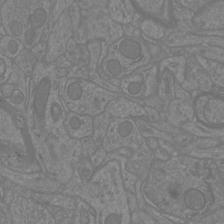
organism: Mouse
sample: Cortical neurons